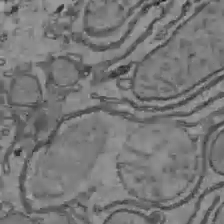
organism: C57BL Mouse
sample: Liver